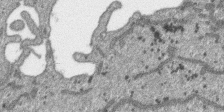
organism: Human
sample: Lung epithelial cells infected with SARS-CoV-2